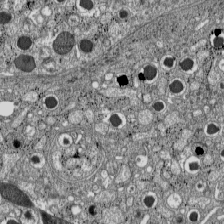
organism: C57BL Mouse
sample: Pancreatic islet